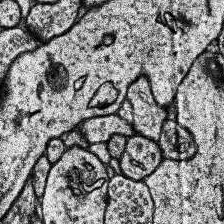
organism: Human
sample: Temporal Lobe